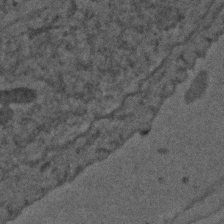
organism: C. elegans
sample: C. elegans embryo